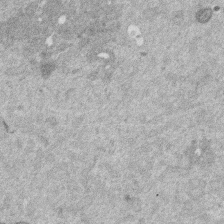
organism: Mouse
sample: Dividing mouse embryo 1 cell stage